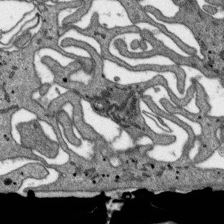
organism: Human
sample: Lung epithelial cells, uninfected (mock) control